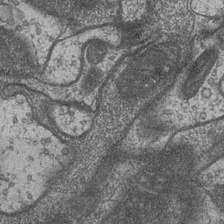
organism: Drosophila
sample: Optic medulla